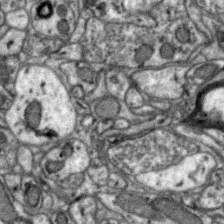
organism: Zebra finch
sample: Brain